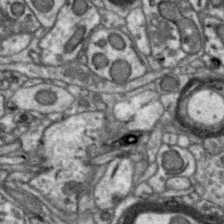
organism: Zebra finch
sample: Brain